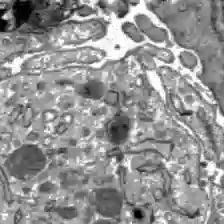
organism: C57BL Mouse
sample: Liver